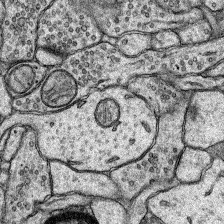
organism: Rat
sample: Hippocampus